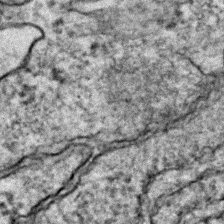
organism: Zebrafish